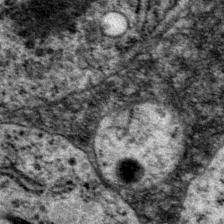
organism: P. pacificus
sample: Pharynx